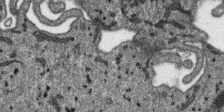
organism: Human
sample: Lung epithelial cells infected with SARS-CoV-2